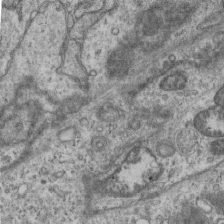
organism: Mouse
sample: Centriole in ependymal cells